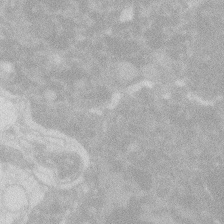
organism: Zebrafish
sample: Macrophage